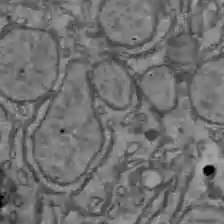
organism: C57BL Mouse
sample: Liver